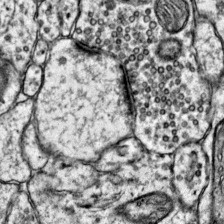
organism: Mouse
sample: Primary visual cortex